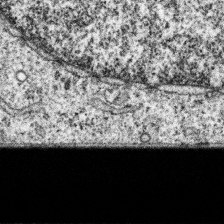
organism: Human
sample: HeLa cells